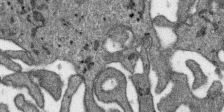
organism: Human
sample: Lung epithelial cells, uninfected (mock) control